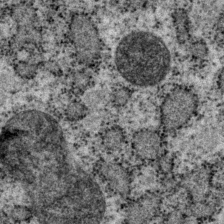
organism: P. pacificus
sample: Pharynx